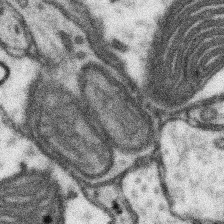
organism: Mouse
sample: Somatosensory cortex neuropil